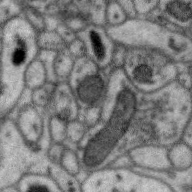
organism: Zebra finch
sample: Brain